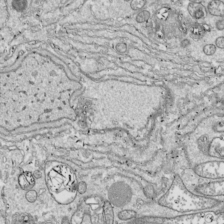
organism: Drosophila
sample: Cell division; meiosis; drosophila spermatocytes